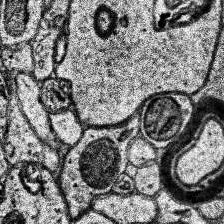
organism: Human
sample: Temporal Lobe